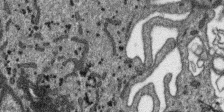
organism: Human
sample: Lung epithelial cells infected with SARS-CoV-2